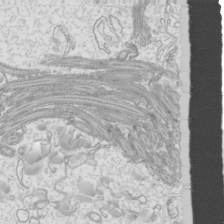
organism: Mouse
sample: Cilia; mouse epididymis